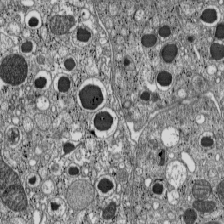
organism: C57BL Mouse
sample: Pancreatic islet